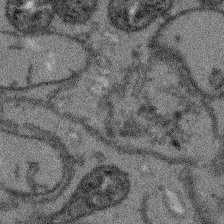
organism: Arabidopsis thaliana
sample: Root tip